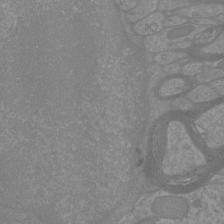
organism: Mouse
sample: Cortical neurons